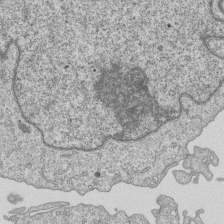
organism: Human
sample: MDA-MB-231 cells